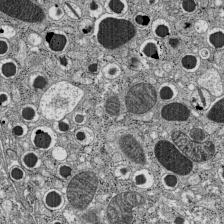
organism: C57BL Mouse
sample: Pancreatic islet